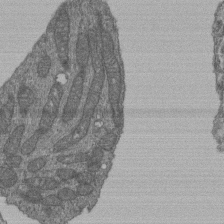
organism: Human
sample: Retinal organoid Rod and Cone cells